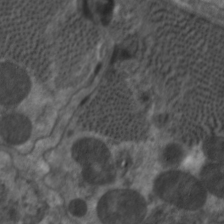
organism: C. elegans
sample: Pharynx